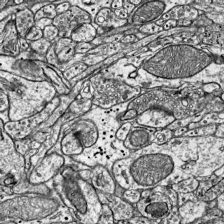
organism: Mouse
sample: Visual Cortex